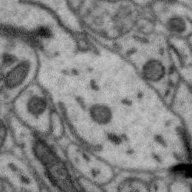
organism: Zebra finch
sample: Brain